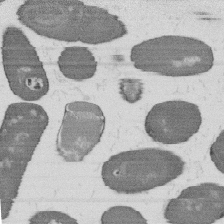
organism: B. subtilis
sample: Bacterial spore